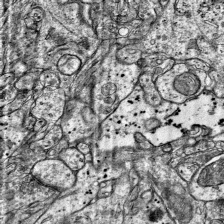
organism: Mouse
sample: Visual Cortex